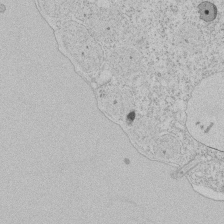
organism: Tetrahymena